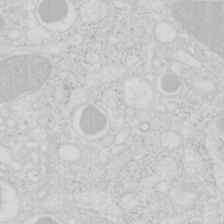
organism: Mouse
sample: Pancreas